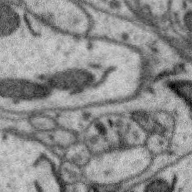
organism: Zebra finch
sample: Brain